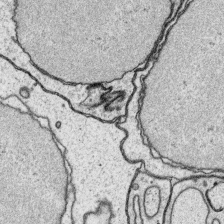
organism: Platynereis dumerilii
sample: Parapodia